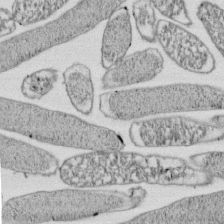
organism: E. coli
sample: Bacterial nucleoid